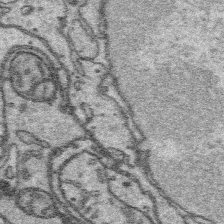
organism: Platynereis dumerilii